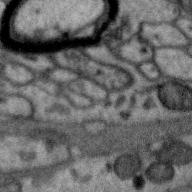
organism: Zebra finch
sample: Brain